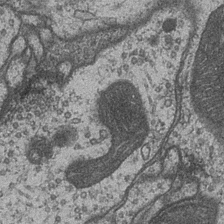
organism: Drosophila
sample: Optic medulla